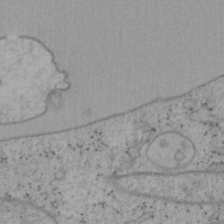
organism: Human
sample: HeLa cells